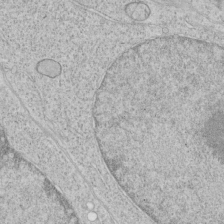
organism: Human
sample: Mitochondria in HCT116 cells